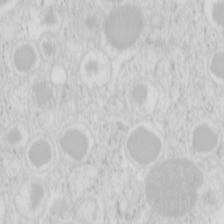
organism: Mouse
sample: Pancreas